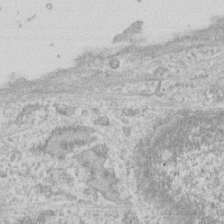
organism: Human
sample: Fibroblast cells